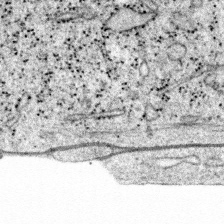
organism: Human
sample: HeLa cells